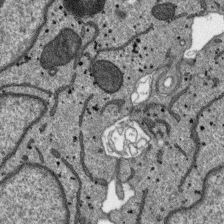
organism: Human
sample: Lung epithelial cells, uninfected (mock) control